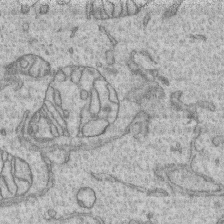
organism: Human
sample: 1205lu cells